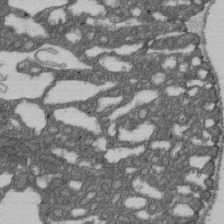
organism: Drosophila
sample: Nephrocyte